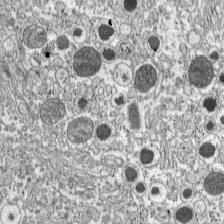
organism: C57BL Mouse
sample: Pancreatic islet